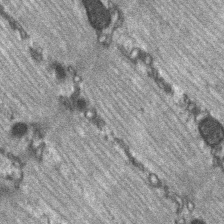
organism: C57BL Mouse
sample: Soleus